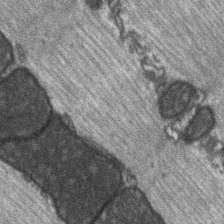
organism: C57BL Mouse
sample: Soleus